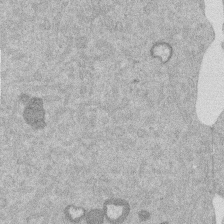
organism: Mouse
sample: Dividing mouse embryo 1 cell stage